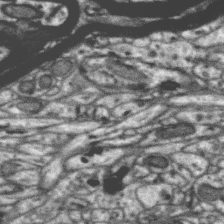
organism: Zebra finch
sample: Brain